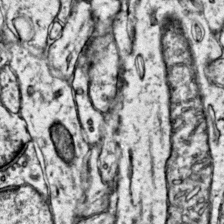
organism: Mouse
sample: Primary visual cortex